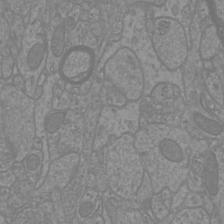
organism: Mouse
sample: Cortical neurons